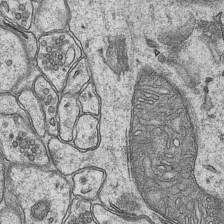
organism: Mouse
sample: CA1 Hippocampus